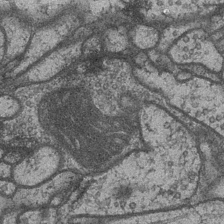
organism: Drosophila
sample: Optic medulla